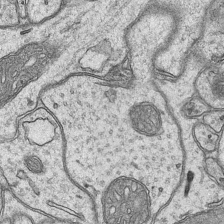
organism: Mouse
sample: CA1 Hippocampus